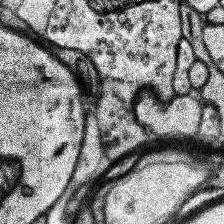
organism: Human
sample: Temporal Lobe